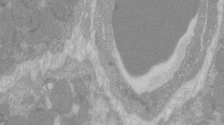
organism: C57BL Mouse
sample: Tibialis anterior muscle cell